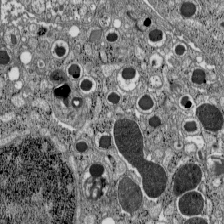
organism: C57BL Mouse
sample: Pancreatic islet